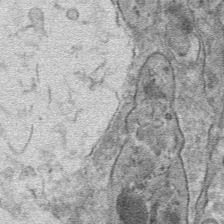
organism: Mouse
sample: Mouse hepatocytes